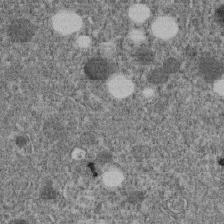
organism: C. elegans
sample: C. elegans embryo early stage